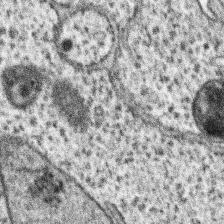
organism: Human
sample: HeLa cells